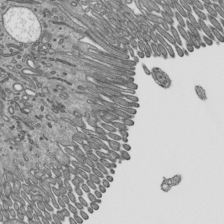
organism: Mouse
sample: Mouse epididymis efferent ductule cilia